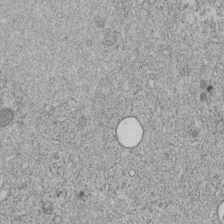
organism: C. elegans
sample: C. elegans embryo early stage